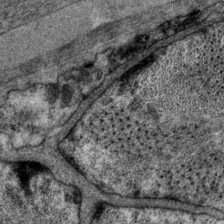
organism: P. pacificus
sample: Pharynx